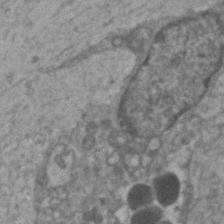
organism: Human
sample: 1205lu cells